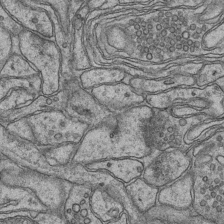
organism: Mouse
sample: CA1 Hippocampus